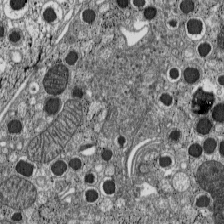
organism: C57BL Mouse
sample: Pancreatic islet